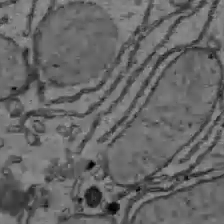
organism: C57BL Mouse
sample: Liver